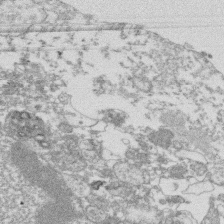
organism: Human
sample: HeLa cell HIV synapse